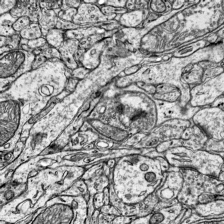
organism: Mouse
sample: Visual Cortex